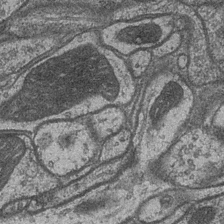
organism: Drosophila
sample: Optic medulla